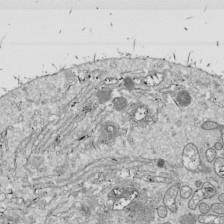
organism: Drosophila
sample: Cell division; meiosis; drosophila spermatocytes